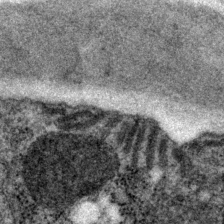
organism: P. pacificus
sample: Pharynx